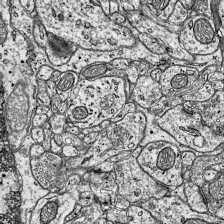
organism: Mouse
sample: Visual Cortex